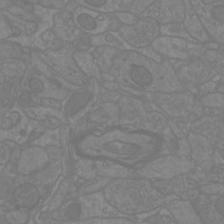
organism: Mouse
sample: Cortical neurons